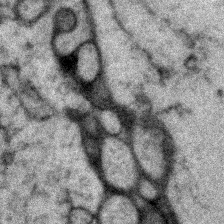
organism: Zebrafish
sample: Zebrafish embryo